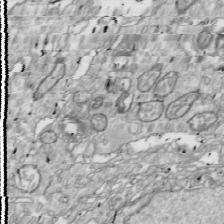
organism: Drosophila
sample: Cell division; meiosis; drosophila spermatocytes